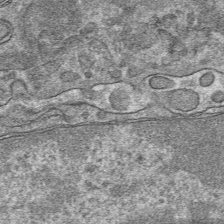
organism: Mouse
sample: Mouse hepatocytes